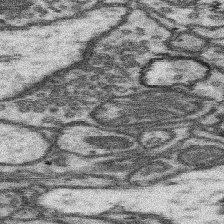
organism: Mouse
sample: Somatosensory cortex neuropil